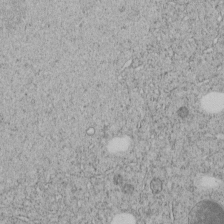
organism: C. elegans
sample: C. elegans embryo early stage